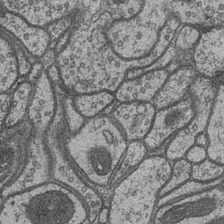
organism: Drosophila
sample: Optic medulla